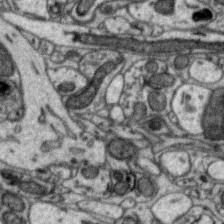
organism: Zebra finch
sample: Brain